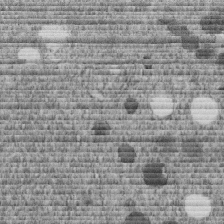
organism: C. elegans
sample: C. elegans embryo early stage